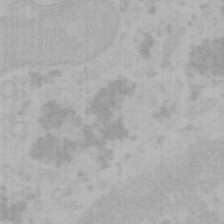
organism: Mouse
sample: Choroid plexus